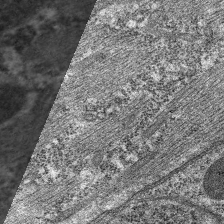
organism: C. elegans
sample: Pharynx